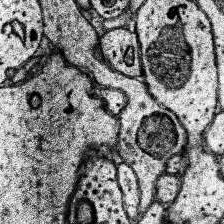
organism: Human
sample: Temporal Lobe